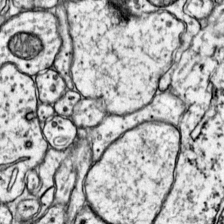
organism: Mouse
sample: Primary visual cortex